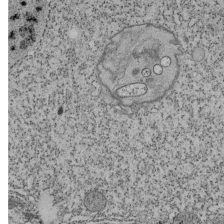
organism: Tetrahymena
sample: Cilia in tetrahymena